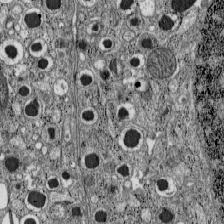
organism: C57BL Mouse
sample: Pancreatic islet